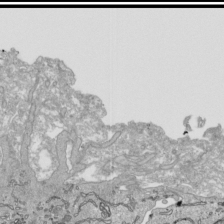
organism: Human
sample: Mitochondria in HCT116 cells